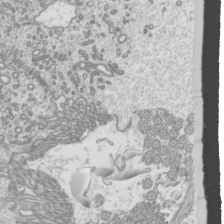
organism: Mouse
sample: Cilia; mouse epididymis